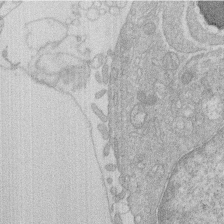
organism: Human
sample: Macrophage cells